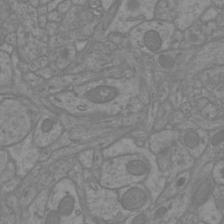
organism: Mouse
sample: Cortical neurons